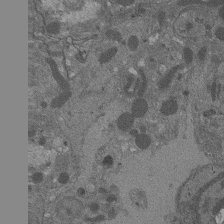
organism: Drosophila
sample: Antenna